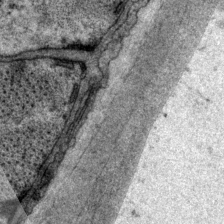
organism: P. pacificus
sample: Pharynx